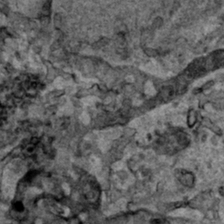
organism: Human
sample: Mitochondria in HCT116 cells